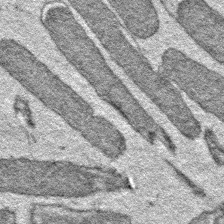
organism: E. coli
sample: E. Coli Bacteria